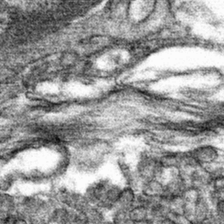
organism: Mouse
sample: Mouse hepatocytes